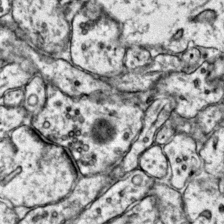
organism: Mouse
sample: Primary visual cortex